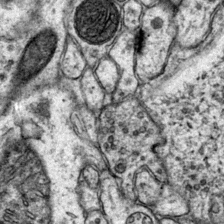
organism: Mouse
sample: Primary visual cortex